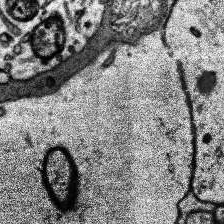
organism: Human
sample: Temporal Lobe